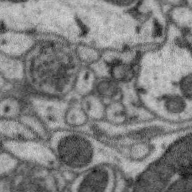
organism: Zebra finch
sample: Brain